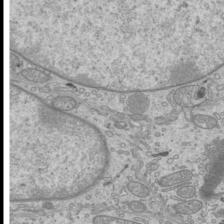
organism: Mouse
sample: Cilia; mouse epididymis